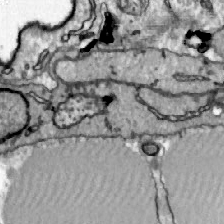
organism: Zebrafish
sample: Actinotrichia fibers